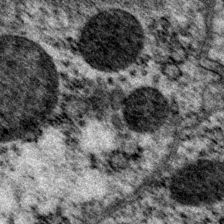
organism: P. pacificus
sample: Pharynx